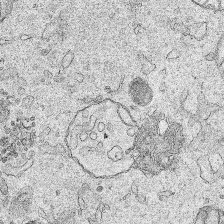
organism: Human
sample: Mitochondria in HCT116 cells